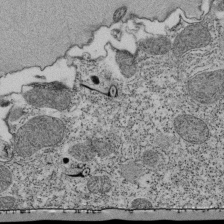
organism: Tetrahymena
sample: Cilia in tetrahymena